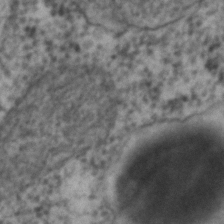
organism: C. elegans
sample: C. elegans embryo